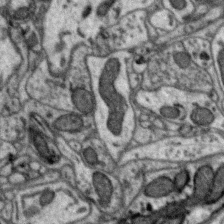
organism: Zebra finch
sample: Brain